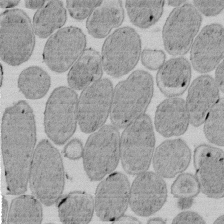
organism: E. coli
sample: Bacterial nucleoid